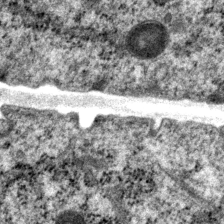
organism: P. pacificus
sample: Pharynx